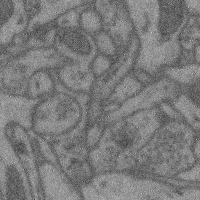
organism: Mouse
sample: Cerebral cortex